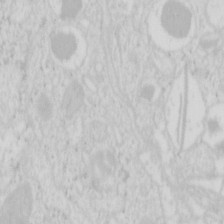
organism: Mouse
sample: Pancreas